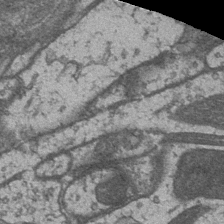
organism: Drosophila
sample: Optic medulla